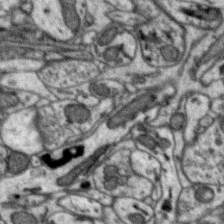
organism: Zebra finch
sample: Brain